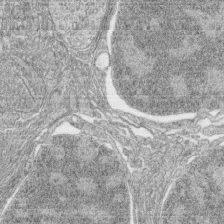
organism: Zebrafish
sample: synaptic ribbons in rod cells and cone cells